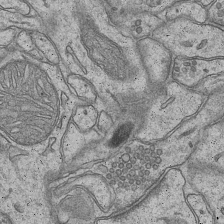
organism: Mouse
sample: CA1 Hippocampus